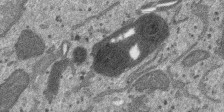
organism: Human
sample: Lung epithelial cells infected with SARS-CoV-2